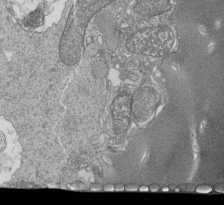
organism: Tetrahymena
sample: Cilia in tetrahymena